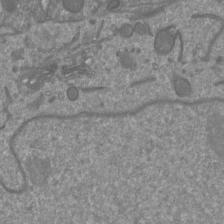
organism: Mouse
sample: Cortical neurons